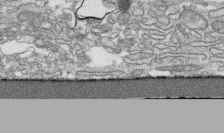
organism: Human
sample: CRL-1474